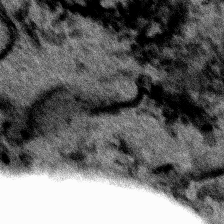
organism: Human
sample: Mitochondria in HCT116 cells